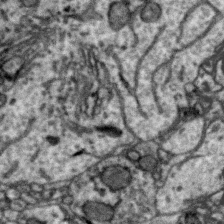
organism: Zebra finch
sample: Brain